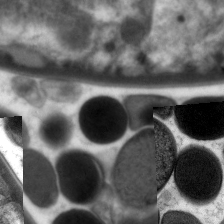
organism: C. elegans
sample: Pharynx